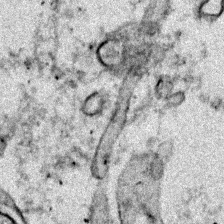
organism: Zebrafish